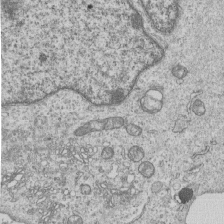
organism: Human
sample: MDA-MB-231 cells